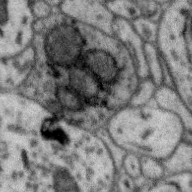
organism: Zebra finch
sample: Brain